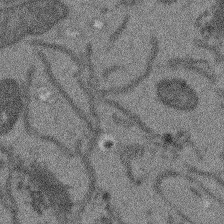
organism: Arabidopsis thaliana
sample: Root tip